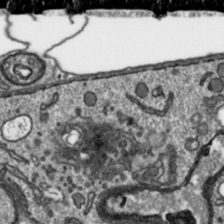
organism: Toxoplasma gondii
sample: Parasites in a vacuole inside a host cell